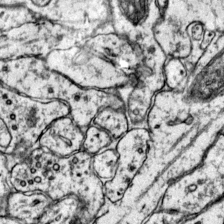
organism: Mouse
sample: Primary visual cortex